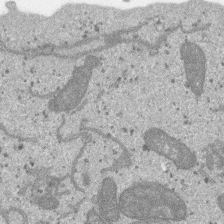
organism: Human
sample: Lung epithelial cells infected with SARS-CoV-2